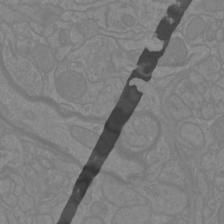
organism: Mouse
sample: Cortical neurons